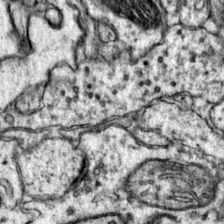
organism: Mouse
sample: Primary visual cortex